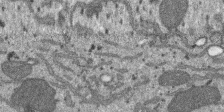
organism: Human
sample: Lung epithelial cells infected with SARS-CoV-2